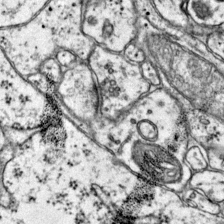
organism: Mouse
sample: Primary visual cortex